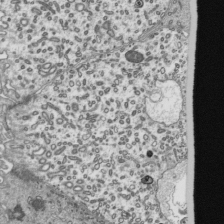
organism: Mouse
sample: Mouse epididymis efferent ductule cilia